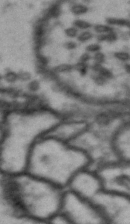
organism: Drosophila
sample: Brain